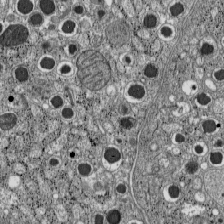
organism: C57BL Mouse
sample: Pancreatic islet